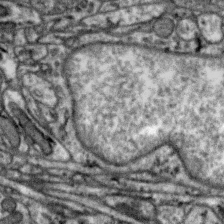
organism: Zebra finch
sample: Brain